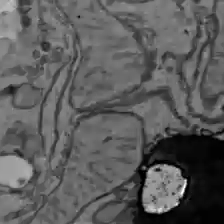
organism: C57BL Mouse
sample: Liver